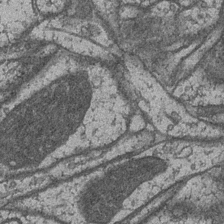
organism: Drosophila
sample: Optic medulla